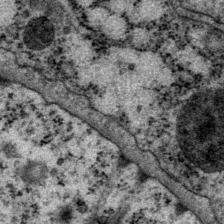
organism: P. pacificus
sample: Pharynx